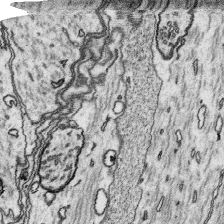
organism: Platynereis dumerilii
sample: Parapodia